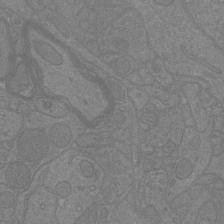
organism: Mouse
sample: Cortical neurons